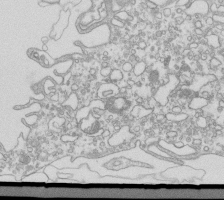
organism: Mouse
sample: Macrophages